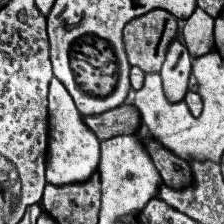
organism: Human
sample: Temporal Lobe